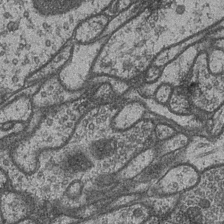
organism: Drosophila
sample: Optic medulla